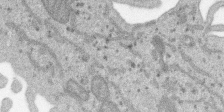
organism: Human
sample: Lung epithelial cells infected with SARS-CoV-2